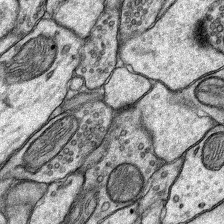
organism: Rat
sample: Hippocampus